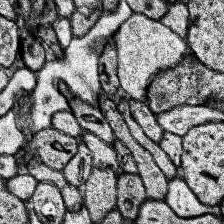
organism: Human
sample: Temporal Lobe